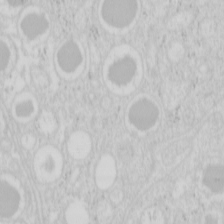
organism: Mouse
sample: Pancreas